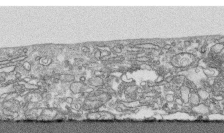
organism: Human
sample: CRL-1474